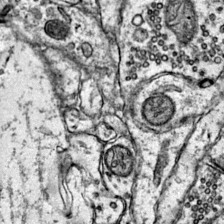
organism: Mouse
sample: Primary visual cortex